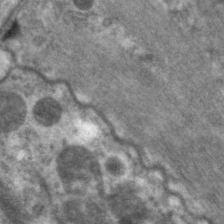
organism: C. elegans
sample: Pharynx